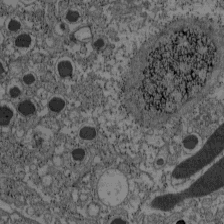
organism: C57BL Mouse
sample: Pancreatic islet